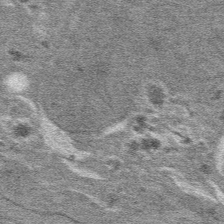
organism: Mouse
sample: Mouse hepatocytes